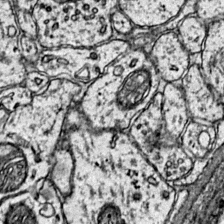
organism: Mouse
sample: Primary visual cortex